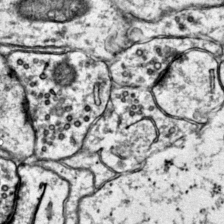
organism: Mouse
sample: Primary visual cortex